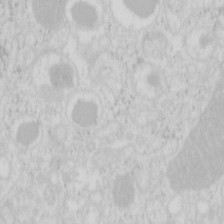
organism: Mouse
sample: Pancreas